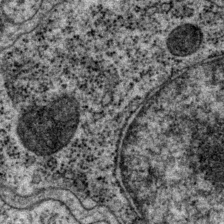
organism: P. pacificus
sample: Pharynx